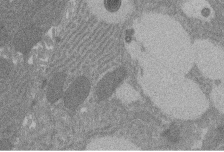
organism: Rat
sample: Salivary granule